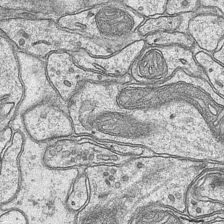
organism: Mouse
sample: CA1 Hippocampus